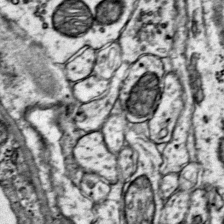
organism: Mouse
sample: Primary visual cortex